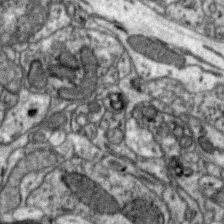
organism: Zebra finch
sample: Brain